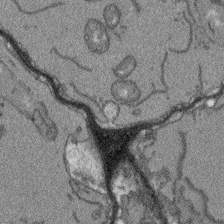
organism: Arabidopsis thaliana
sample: Root tip